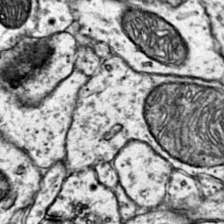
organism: Mouse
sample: Primary visual cortex